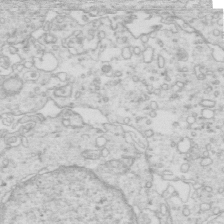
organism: Mouse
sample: Multiciliated cells